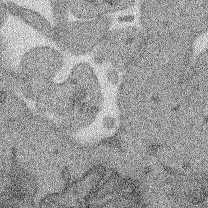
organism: Human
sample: HeLa cells